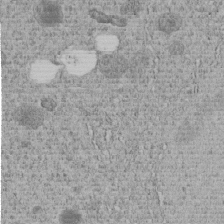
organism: C. elegans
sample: C. elegans embryo early stage